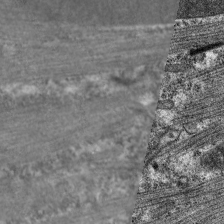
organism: C. elegans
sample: Pharynx